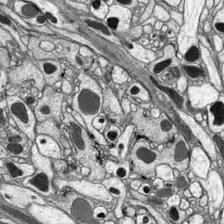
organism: Drosophila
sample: Optic lobe